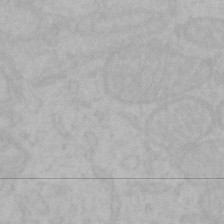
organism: Mouse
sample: Choroid plexus